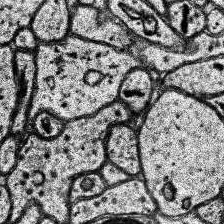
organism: Human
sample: Temporal Lobe